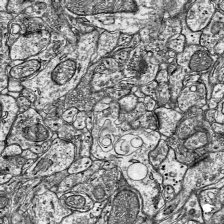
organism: Mouse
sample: Visual Cortex